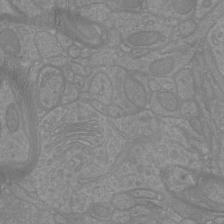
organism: Mouse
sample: Cortical neurons